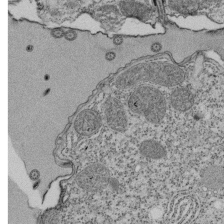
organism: Tetrahymena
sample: Cilia in tetrahymena